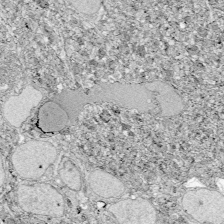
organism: Zebrafish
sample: Whole-Brain